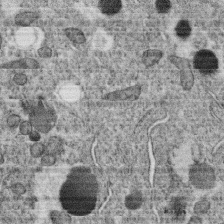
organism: C. elegans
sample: C. elegans oocyte; sperm cells